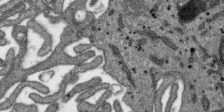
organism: Human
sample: Lung epithelial cells, uninfected (mock) control